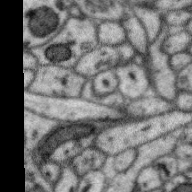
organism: Zebra finch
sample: Brain